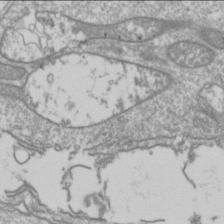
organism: Drosophila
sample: Cell division; meiosis; drosophila spermatocytes